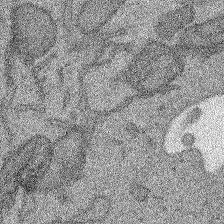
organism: Human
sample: HeLa cells